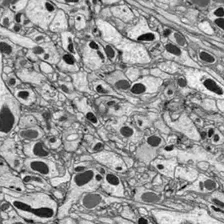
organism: Drosophila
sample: Optic lobe